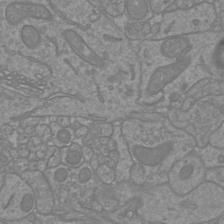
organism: Mouse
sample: Cortical neurons